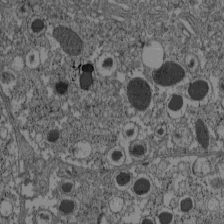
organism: C57BL Mouse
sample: Pancreatic islet